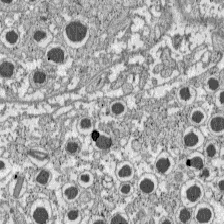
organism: C57BL Mouse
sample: Pancreatic islet